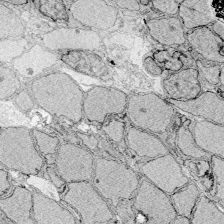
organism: Zebrafish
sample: Whole-Brain